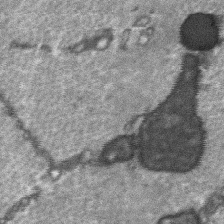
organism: C57BL Mouse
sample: Soleus